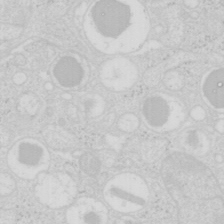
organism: Mouse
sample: Pancreas